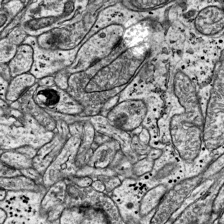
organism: Mouse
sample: Visual Cortex